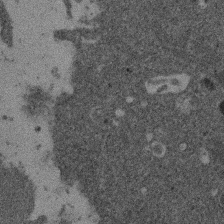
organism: Mouse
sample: Dividing mouse embryo 1 cell stage